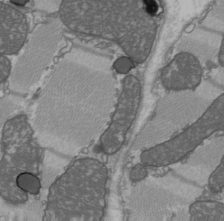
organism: C57BL Mouse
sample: Heart